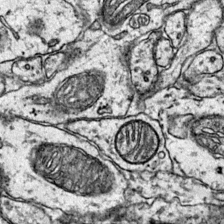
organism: Mouse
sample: Primary visual cortex